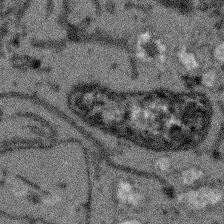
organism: Arabidopsis thaliana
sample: Root tip